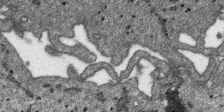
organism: Human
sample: Lung epithelial cells infected with SARS-CoV-2